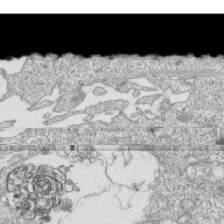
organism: Human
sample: HeLa cell HIV synapse